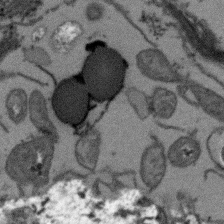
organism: Arabidopsis thaliana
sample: Root tip